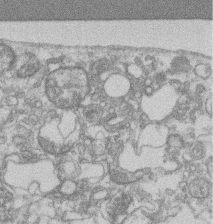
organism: Mouse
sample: T cell stromal cell synapse